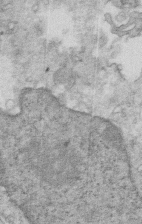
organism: Mouse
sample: Multiciliated cells